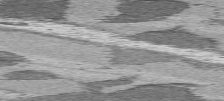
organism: C57BL Mouse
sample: Heart